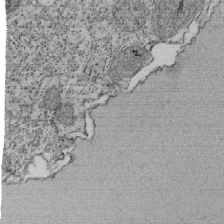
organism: Tetrahymena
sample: Cilia in tetrahymena